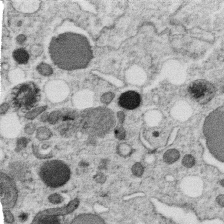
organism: C. elegans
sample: C. elegans oocyte; sperm cells